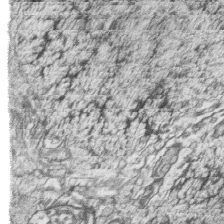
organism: Zebrafish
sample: synaptic ribbons in rod cells and cone cells